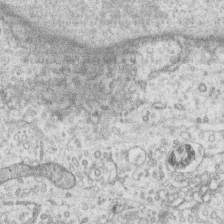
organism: Human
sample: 1205lu cells